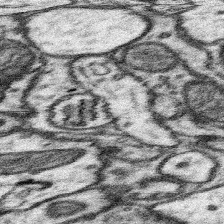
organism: Mouse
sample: Somatosensory cortex neuropil